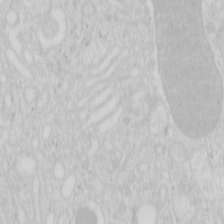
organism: Mouse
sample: Pancreas